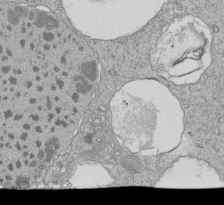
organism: Tetrahymena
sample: Cilia in tetrahymena